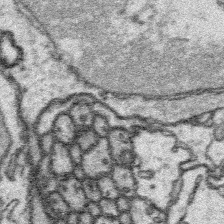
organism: Platynereis dumerilii